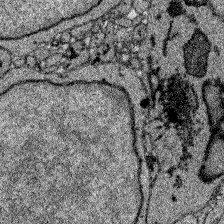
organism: Zebrafish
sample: Larval olfactory bulb